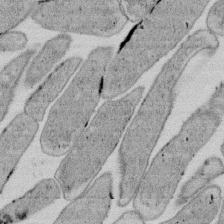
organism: E. coli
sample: Bacterial nucleoid